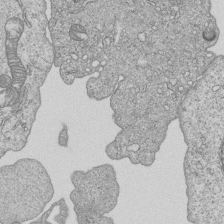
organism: Human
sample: MDA-MB-231 cells